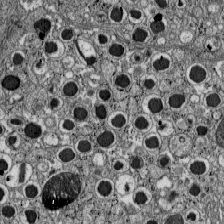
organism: C57BL Mouse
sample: Pancreatic islet